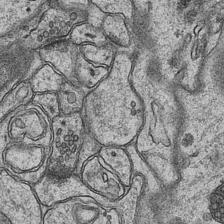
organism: Mouse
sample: CA1 Hippocampus